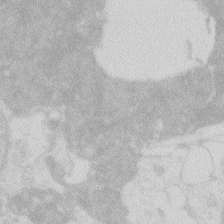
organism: Zebrafish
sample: Macrophage